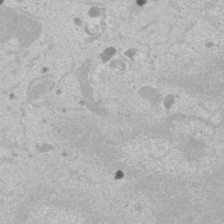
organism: Human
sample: Mitochondria in U2OS cells